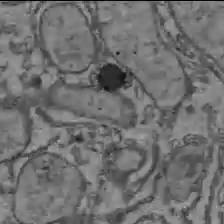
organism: C57BL Mouse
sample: Liver